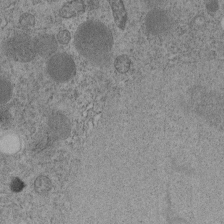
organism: C. elegans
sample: C. elegans embryo early stage